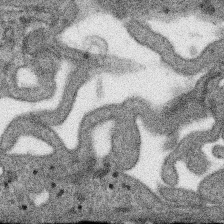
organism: Human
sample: Lung epithelial cells infected with SARS-CoV-2